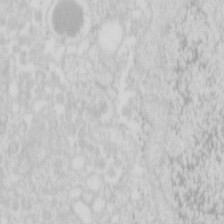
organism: Mouse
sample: Pancreas